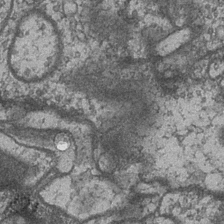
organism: Drosophila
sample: Optic medulla